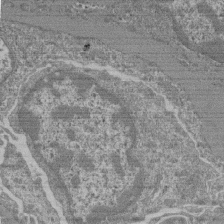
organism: Mouse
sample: Glomerulus